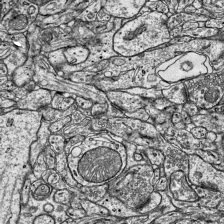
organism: Mouse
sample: Visual Cortex